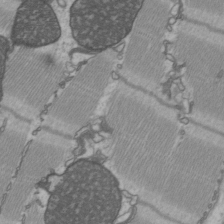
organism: C57BL Mouse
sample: Heart